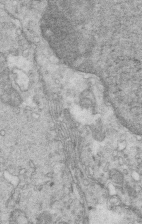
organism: Mouse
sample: Multiciliated cells